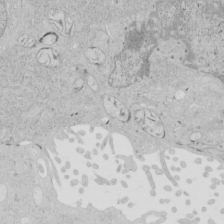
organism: Human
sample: Mitochondria in HCT116 cells